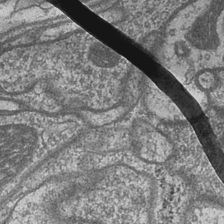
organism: Drosophila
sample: Optic medulla